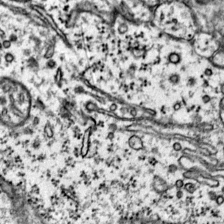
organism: Mouse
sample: Primary visual cortex